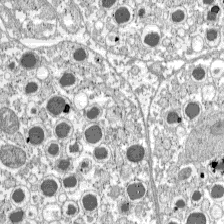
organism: C57BL Mouse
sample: Pancreatic islet